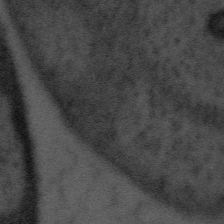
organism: Tuwongella immobilis